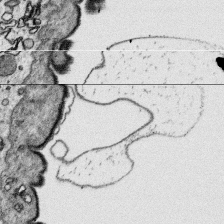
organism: Platynereis dumerilii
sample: Parapodia